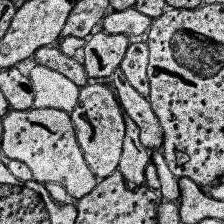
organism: Human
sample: Temporal Lobe